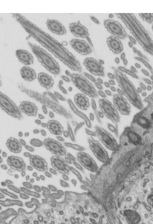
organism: Mouse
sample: Mouse epididymis efferent ductule cilia